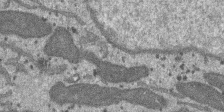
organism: Human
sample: Lung epithelial cells infected with SARS-CoV-2